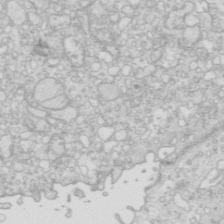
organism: Mouse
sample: Multiciliated cells